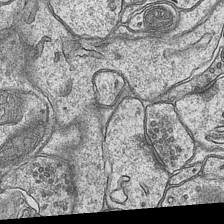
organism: Mouse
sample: CA1 Hippocampus